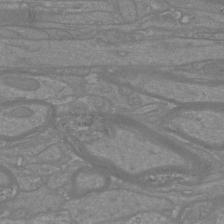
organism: Mouse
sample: Cortical neurons